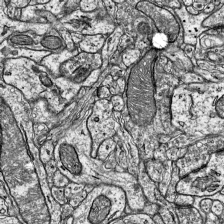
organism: Mouse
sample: Visual Cortex